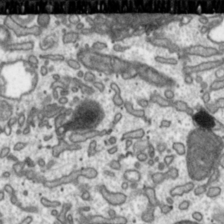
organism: Toxoplasma gondii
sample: Parasites in a vacuole inside a host cell